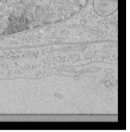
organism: Human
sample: Mitochondria in HCT116 cells